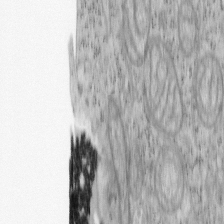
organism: Human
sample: HeLa cells